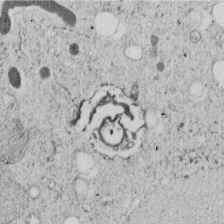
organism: C. elegans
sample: C. elegans embryo early stage